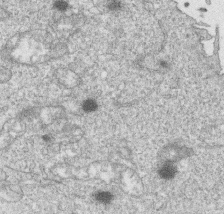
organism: Human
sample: HeLa cell HIV synapse